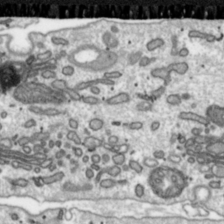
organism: Toxoplasma gondii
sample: Parasites in a vacuole inside a host cell